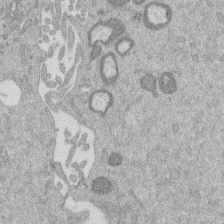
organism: Mouse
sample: Dividing mouse embryo 1 cell stage